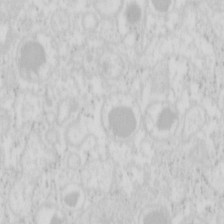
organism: Mouse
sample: Pancreas